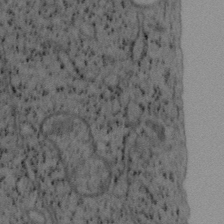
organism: Human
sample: HeLa cells